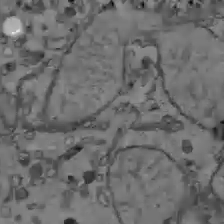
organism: C57BL Mouse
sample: Liver